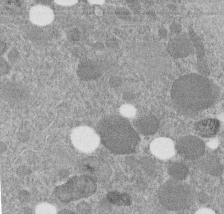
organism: C. elegans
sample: C. elegans embryo early stage